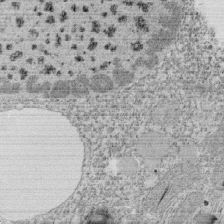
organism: Tetrahymena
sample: Cilia in tetrahymena